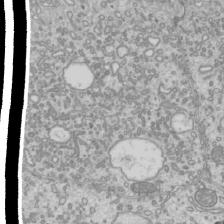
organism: Mouse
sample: Cilia; mouse epididymis